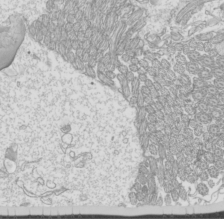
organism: Mouse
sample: Cilia; mouse epididymis